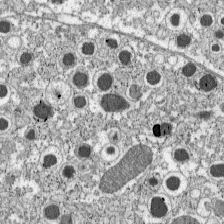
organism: C57BL Mouse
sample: Pancreatic islet